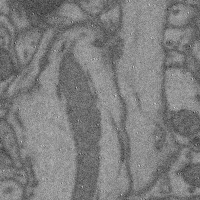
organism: Mouse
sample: Cerebral cortex